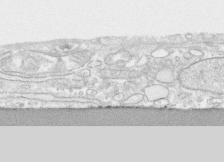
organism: Human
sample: CRL-1474